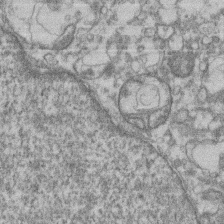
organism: Mouse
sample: T cell stromal cell synapse